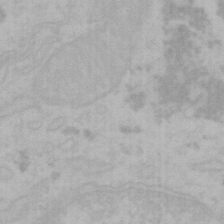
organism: Mouse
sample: Choroid plexus